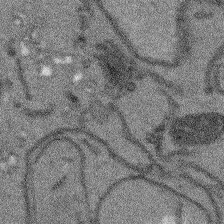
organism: Arabidopsis thaliana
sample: Root tip